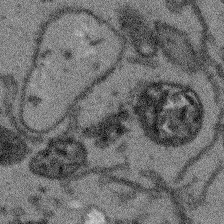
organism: Arabidopsis thaliana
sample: Root tip